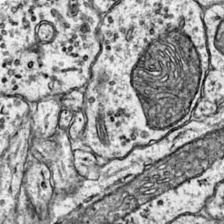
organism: Mouse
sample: Primary visual cortex